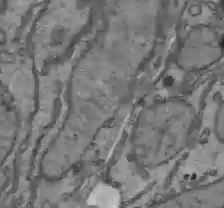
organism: C57BL Mouse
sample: Liver